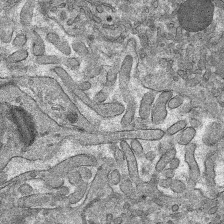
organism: Mouse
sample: Mouse hepatocytes